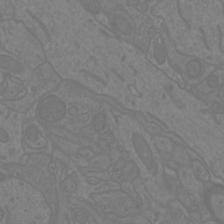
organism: Mouse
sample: Cortical neurons